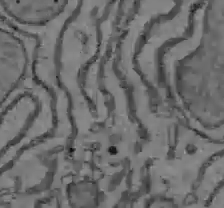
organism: C57BL Mouse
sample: Liver